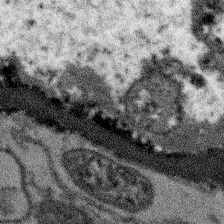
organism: Arabidopsis thaliana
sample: Root tip